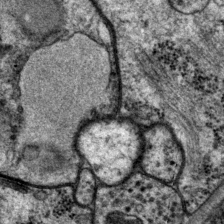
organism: P. pacificus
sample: Pharynx